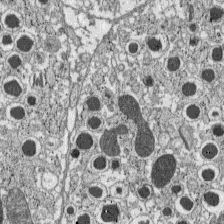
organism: C57BL Mouse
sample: Pancreatic islet